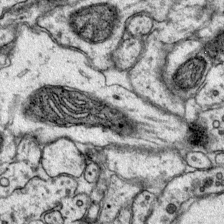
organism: Mouse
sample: Primary visual cortex